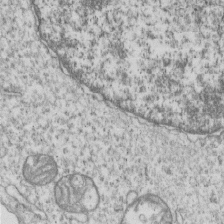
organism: Human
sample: MDA-MB-231 cells